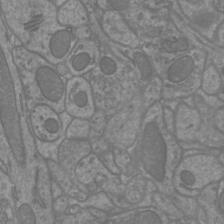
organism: Mouse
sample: Cortical neurons